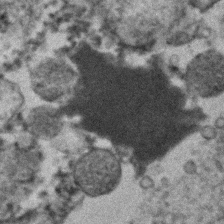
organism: Human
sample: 1205lu cells